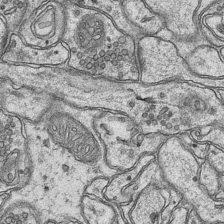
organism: Mouse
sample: CA1 Hippocampus